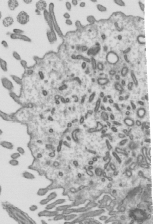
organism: Mouse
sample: Mouse epididymis efferent ductule cilia